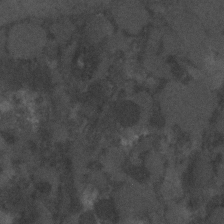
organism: C. elegans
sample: C. elegans embryo